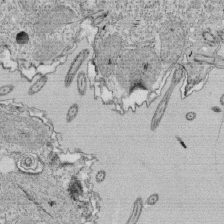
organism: Tetrahymena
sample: Cilia in tetrahymena